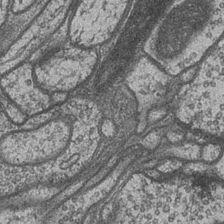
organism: Drosophila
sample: Optic medulla